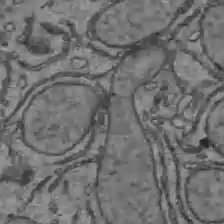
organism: C57BL Mouse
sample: Liver